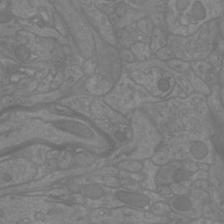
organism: Mouse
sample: Cortical neurons